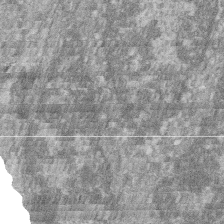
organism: Zebrafish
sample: Cilia; retinal pigment epithelium